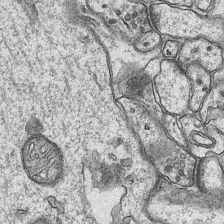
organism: Mouse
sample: CA1 Hippocampus